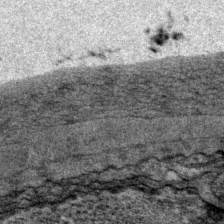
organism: P. pacificus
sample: Pharynx